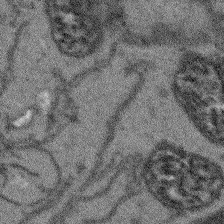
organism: Arabidopsis thaliana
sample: Root tip